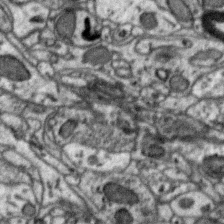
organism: Zebra finch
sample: Brain